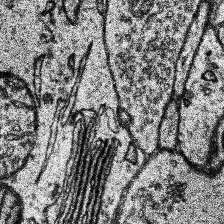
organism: Human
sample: Temporal Lobe